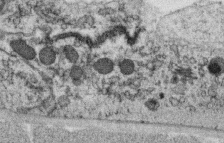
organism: C. elegans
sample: C. elegans oocyte; sperm cells